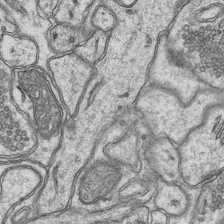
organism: Mouse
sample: CA1 Hippocampus